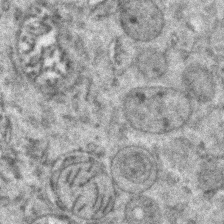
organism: Zebrafish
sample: Zebrafish embryo